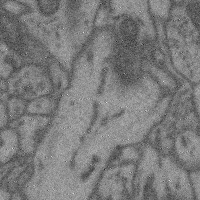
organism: Mouse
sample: Cerebral cortex